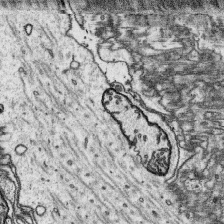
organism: Platynereis dumerilii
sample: Parapodia